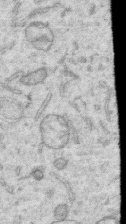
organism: Human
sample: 1205lu cells